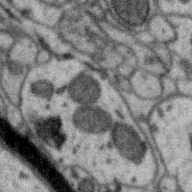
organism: Zebra finch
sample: Brain